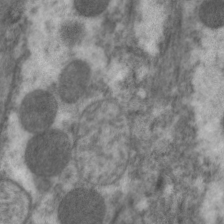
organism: C. elegans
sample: Pharynx